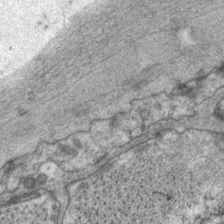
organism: P. pacificus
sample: Pharynx